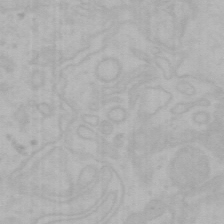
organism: Mouse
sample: Choroid plexus